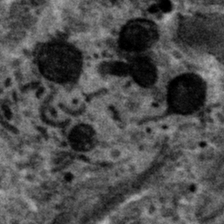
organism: Mouse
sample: Mouse hepatocytes